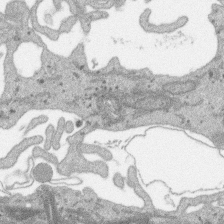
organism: Human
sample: Lung epithelial cells infected with SARS-CoV-2